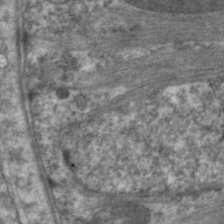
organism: C. elegans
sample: Pharynx